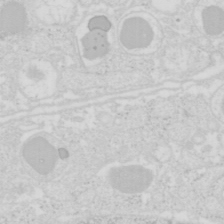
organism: Mouse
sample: Pancreas